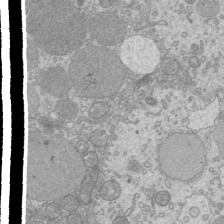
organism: Mouse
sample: Cilia; mouse epididymis